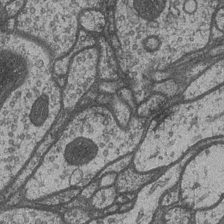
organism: Drosophila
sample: Optic medulla